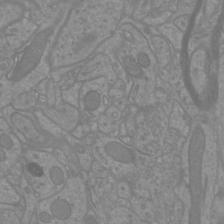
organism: Mouse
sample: Cortical neurons